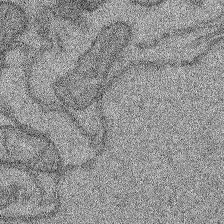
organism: Human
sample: HeLa cells